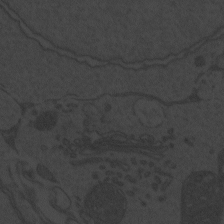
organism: Zebrafish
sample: Macrophage infected with Toxoplasma gondii